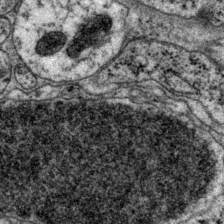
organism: P. pacificus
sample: Pharynx